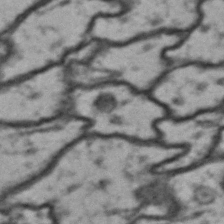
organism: Drosophila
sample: Brain